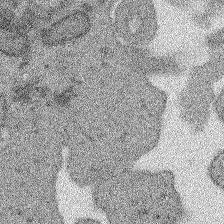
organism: Human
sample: HeLa cells